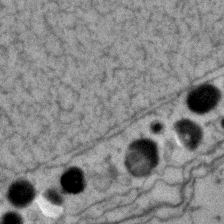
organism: Zebrafish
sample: Zebrafish embryo